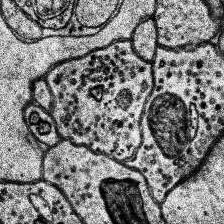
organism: Human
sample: Temporal Lobe